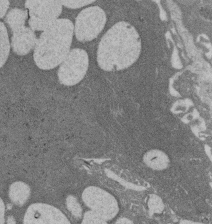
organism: Rat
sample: Salivary granule